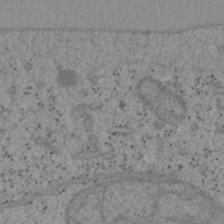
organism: Human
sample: HeLa cells